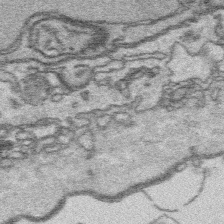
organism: Platynereis dumerilii